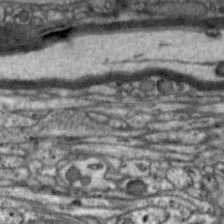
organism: Zebra finch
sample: Brain